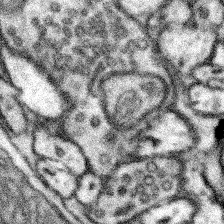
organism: Mouse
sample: Somatosensory cortex neuropil